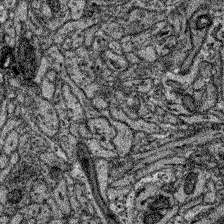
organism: Zebrafish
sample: Larval olfactory bulb